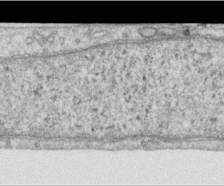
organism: Human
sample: Centriole in RPE cells